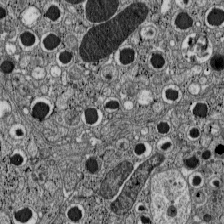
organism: C57BL Mouse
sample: Pancreatic islet